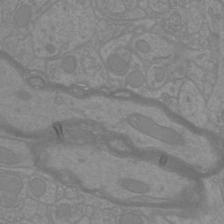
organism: Mouse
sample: Cortical neurons